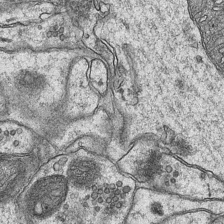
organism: Mouse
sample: CA1 Hippocampus